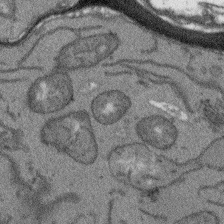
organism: Arabidopsis thaliana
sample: Root tip